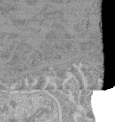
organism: Mouse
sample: Glomerulus